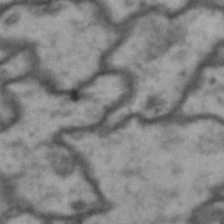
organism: Drosophila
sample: Brain